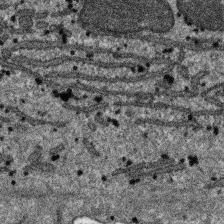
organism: Human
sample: Lung epithelial cells infected with SARS-CoV-2